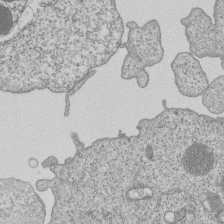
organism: Human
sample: MDA-MB-231 cells